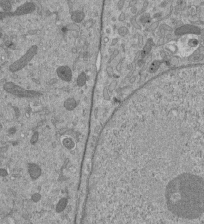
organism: Mouse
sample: ED-1 cell nuclei; centrioles